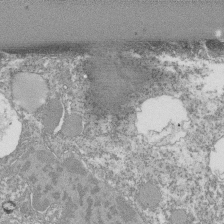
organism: Tetrahymena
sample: Cilia in tetrahymena